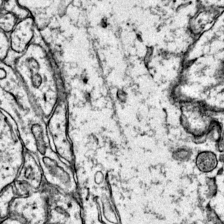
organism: Mouse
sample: Primary visual cortex